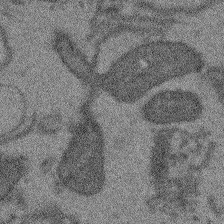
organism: Arabidopsis thaliana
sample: Root tip